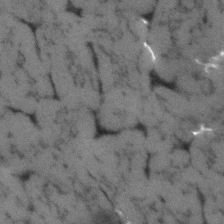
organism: Human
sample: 1205lu cells